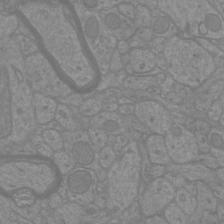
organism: Mouse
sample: Cortical neurons